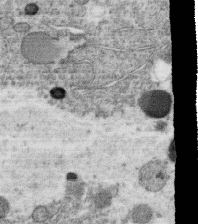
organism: C. elegans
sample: C. elegans oocyte; sperm cells